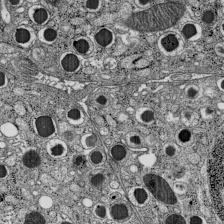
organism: C57BL Mouse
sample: Pancreatic islet